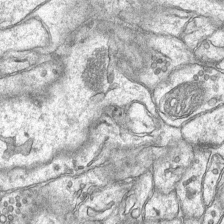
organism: Mouse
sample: CA1 Hippocampus